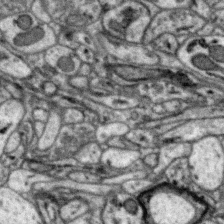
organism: Zebra finch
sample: Brain